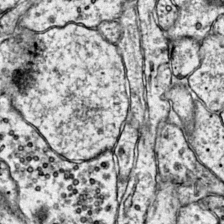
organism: Mouse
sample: Primary visual cortex